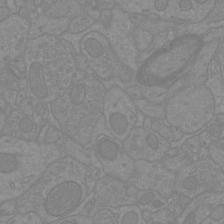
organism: Mouse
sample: Cortical neurons